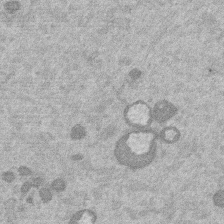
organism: Mouse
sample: Dividing mouse embryo 1 cell stage